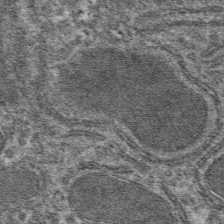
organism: Mouse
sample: Mouse hepatocytes